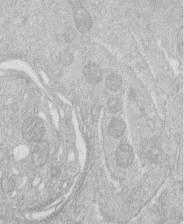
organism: Human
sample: Macrophage cells